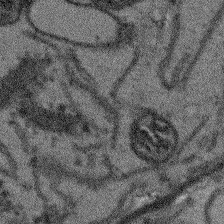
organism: Arabidopsis thaliana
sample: Root tip